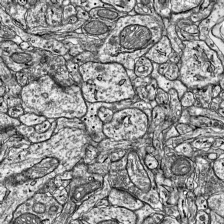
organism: Mouse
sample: Visual Cortex